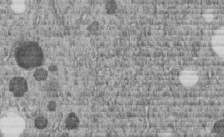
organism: C. elegans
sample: C. elegans embryo early stage